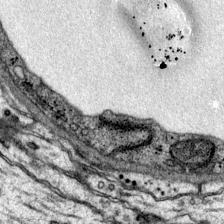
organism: Mouse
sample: Primary visual cortex